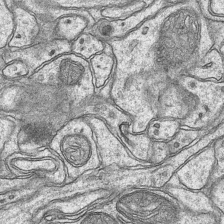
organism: Mouse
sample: CA1 Hippocampus